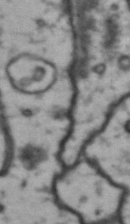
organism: Drosophila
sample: Brain